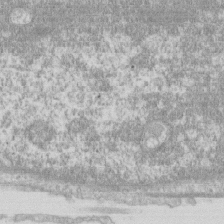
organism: Human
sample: CRL-1474